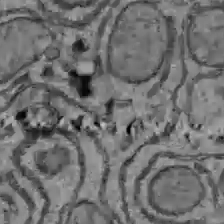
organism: C57BL Mouse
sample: Liver